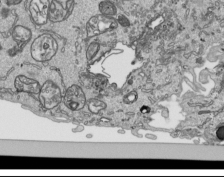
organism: Human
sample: Mitochondria in HCT116 cells